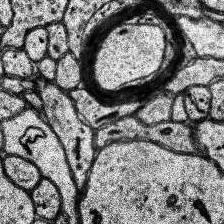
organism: Human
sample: Temporal Lobe